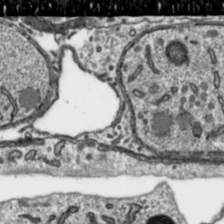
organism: Toxoplasma gondii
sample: Parasites in a vacuole inside a host cell